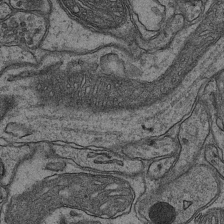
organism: Mouse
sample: CA1 Hippocampus